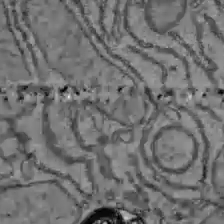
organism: C57BL Mouse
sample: Liver